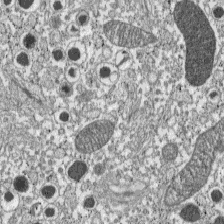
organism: C57BL Mouse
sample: Pancreatic islet